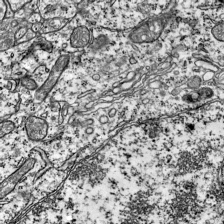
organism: Mouse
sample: Visual Cortex